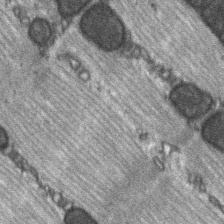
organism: C57BL Mouse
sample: Soleus